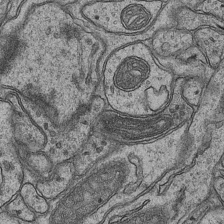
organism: Mouse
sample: CA1 Hippocampus